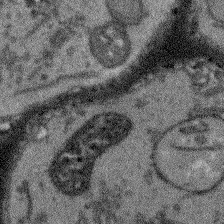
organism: Arabidopsis thaliana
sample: Root tip